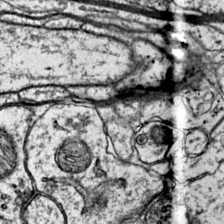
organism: Mouse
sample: Primary visual cortex